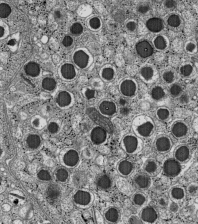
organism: C57BL Mouse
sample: Pancreatic islet